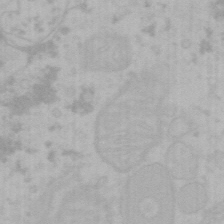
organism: Mouse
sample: Choroid plexus